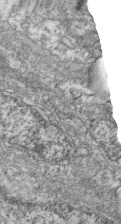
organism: Zebrafish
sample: Cilia; retinal pigment epithelium